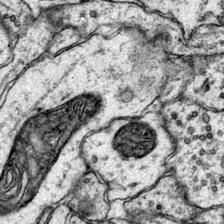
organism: Mouse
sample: Primary visual cortex